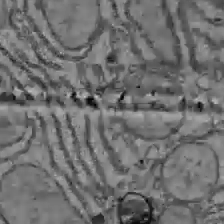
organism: C57BL Mouse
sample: Liver